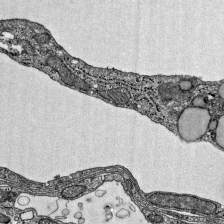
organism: Mouse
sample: Visual Cortex